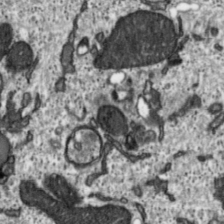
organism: Toxoplasma gondii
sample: Parasites in a vacuole inside a host cell